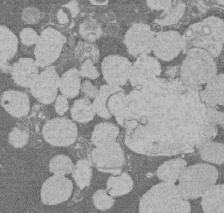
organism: Rat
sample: Salivary granule